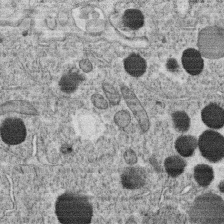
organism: C. elegans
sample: C. elegans oocyte; sperm cells